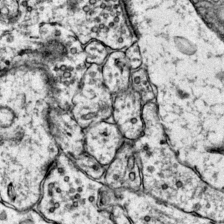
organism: Mouse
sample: Primary visual cortex